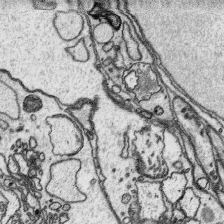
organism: Platynereis dumerilii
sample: Parapodia